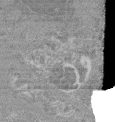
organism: Mouse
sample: Glomerulus